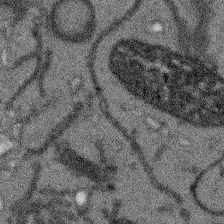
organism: Arabidopsis thaliana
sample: Root tip